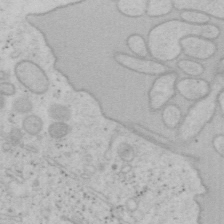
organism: Human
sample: HeLa cells